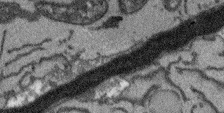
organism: Arabidopsis thaliana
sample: Root tip